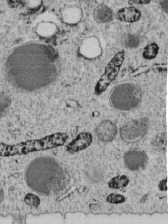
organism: C. elegans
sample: C. elegans embryo early stage